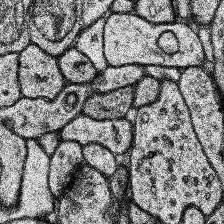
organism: Human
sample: Temporal Lobe